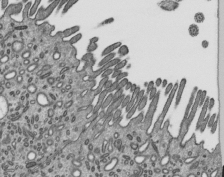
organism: Mouse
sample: Mouse epididymis efferent ductule cilia